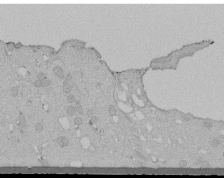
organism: Human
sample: Melanocyte Keratinocyte synapse skin construct